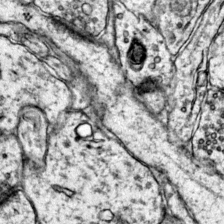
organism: Mouse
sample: Primary visual cortex